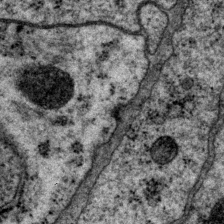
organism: P. pacificus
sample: Pharynx